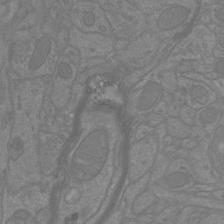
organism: Mouse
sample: Cortical neurons